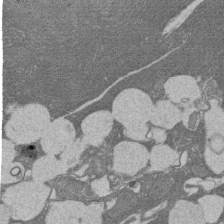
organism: Rat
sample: Salivary granule